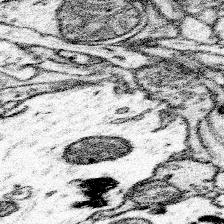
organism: Mouse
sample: Somatosensory cortex neuropil